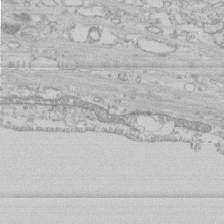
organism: Human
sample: CRL-1474